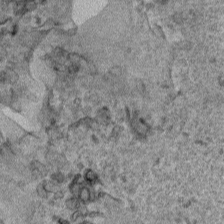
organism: Human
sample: Mitochondria in HCT116 cells